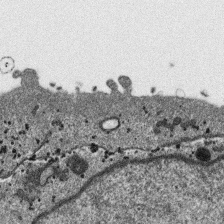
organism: Human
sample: Lung epithelial cells infected with SARS-CoV-2